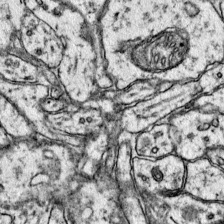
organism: Mouse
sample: Primary visual cortex